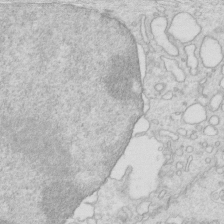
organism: Mouse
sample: Multiciliated cells